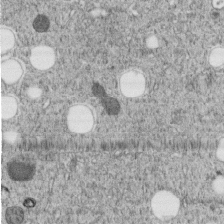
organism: C. elegans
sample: C. elegans embryo early stage